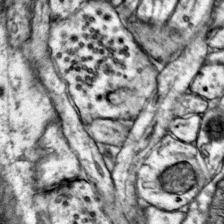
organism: Mouse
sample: Primary visual cortex